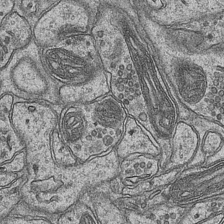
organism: Mouse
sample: CA1 Hippocampus